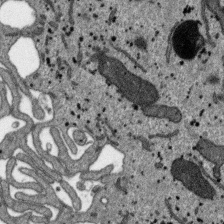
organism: Human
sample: Lung epithelial cells, uninfected (mock) control